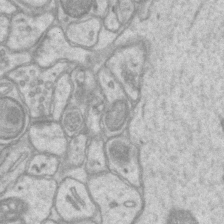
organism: Mouse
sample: CA1 Hippocampus